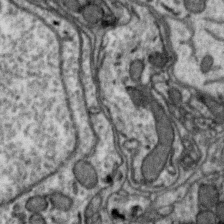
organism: Zebra finch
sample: Brain